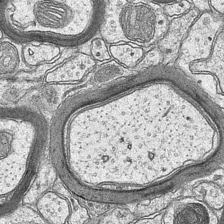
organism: Mouse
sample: CA1 Hippocampus